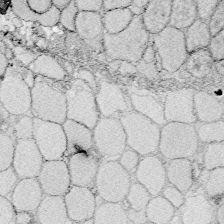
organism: Zebrafish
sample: Whole-Brain